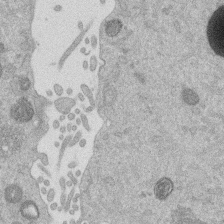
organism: Mouse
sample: Dividing mouse embryo 1 cell stage